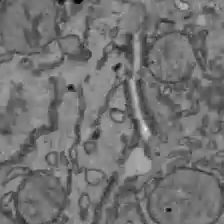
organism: C57BL Mouse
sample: Liver